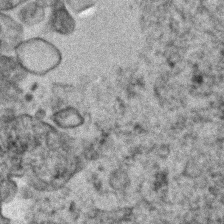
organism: Human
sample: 1205lu cells